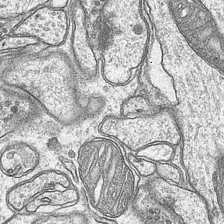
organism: Mouse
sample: CA1 Hippocampus